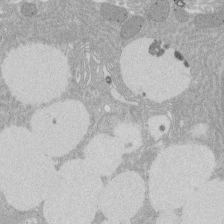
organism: Rat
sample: Salivary granule